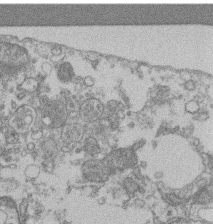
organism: Mouse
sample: T cell stromal cell synapse